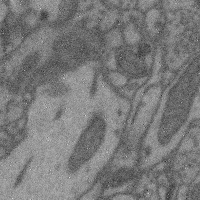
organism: Mouse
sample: Cerebral cortex